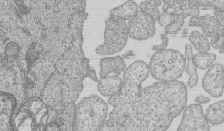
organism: Human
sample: MDA-MB-231 cells